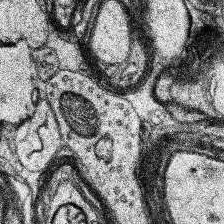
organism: Human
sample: Temporal Lobe